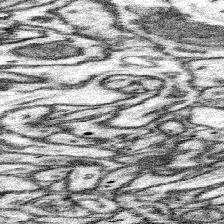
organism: Mouse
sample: Somatosensory cortex neuropil